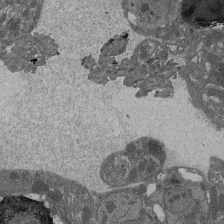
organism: Drosophila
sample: Antenna